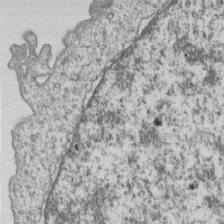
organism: Human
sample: MDA-MB-231 cells